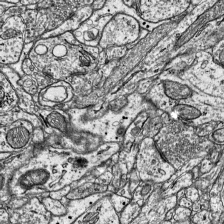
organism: Mouse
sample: Visual Cortex